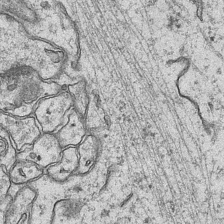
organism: Mouse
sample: CA1 Hippocampus